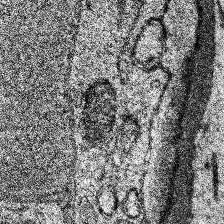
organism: Human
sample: Temporal Lobe